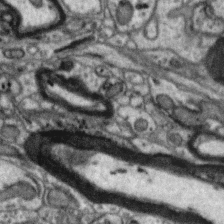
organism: Zebra finch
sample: Brain